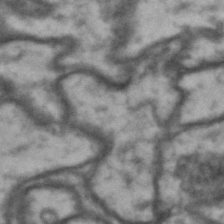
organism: Drosophila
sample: Brain